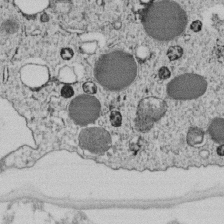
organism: C. elegans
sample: C. elegans embryo early stage